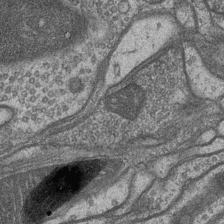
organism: Drosophila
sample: Optic medulla